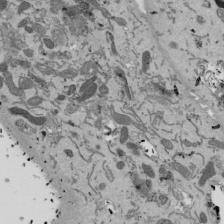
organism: Mouse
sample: ED-1 cell nuclei; centrioles